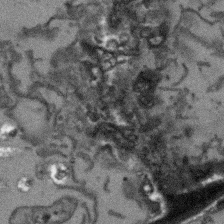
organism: Arabidopsis thaliana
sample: Root tip